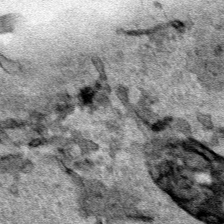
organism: Human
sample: Mitochondria in HCT116 cells